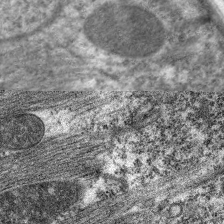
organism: C. elegans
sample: Pharynx